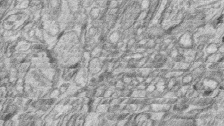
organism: Zebrafish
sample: synaptic ribbons in rod cells and cone cells